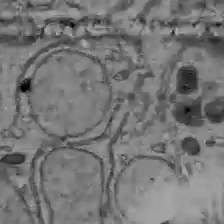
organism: C57BL Mouse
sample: Liver